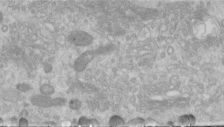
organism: Human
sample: Centriole in RPE cells